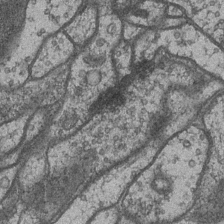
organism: Drosophila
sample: Optic medulla